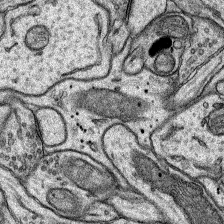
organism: Rat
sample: Hippocampus